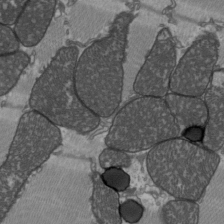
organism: C57BL Mouse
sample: Heart